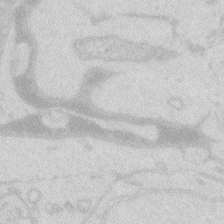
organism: Zebrafish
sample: Macrophage